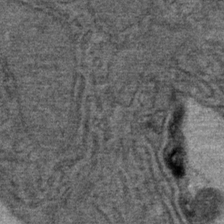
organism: Mouse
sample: Mouse Salivary gland